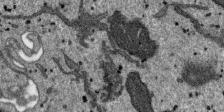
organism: Human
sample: Lung epithelial cells, uninfected (mock) control